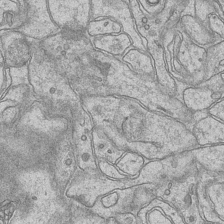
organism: Mouse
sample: CA1 Hippocampus